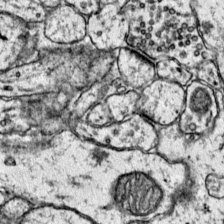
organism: Mouse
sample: Primary visual cortex